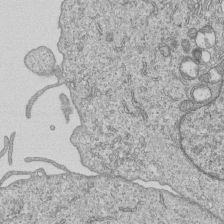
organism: Human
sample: MDA-MB-231 cells